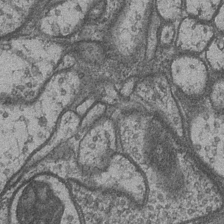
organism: Drosophila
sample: Optic medulla